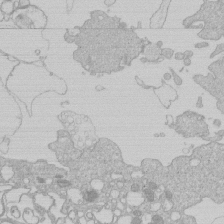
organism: Human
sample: Macrophage cells